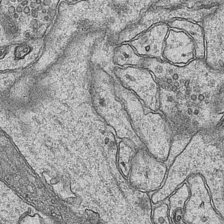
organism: Mouse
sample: CA1 Hippocampus